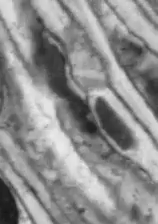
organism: Drosophila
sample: Optic lobe